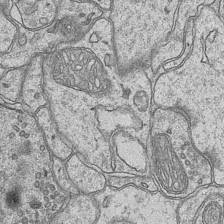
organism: Mouse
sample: CA1 Hippocampus